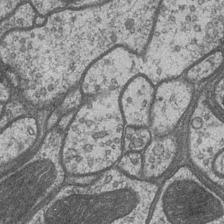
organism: Drosophila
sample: Optic medulla